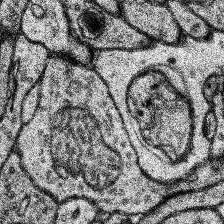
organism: Human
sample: Temporal Lobe